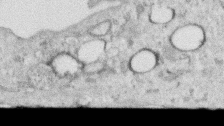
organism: Human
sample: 1205lu cells